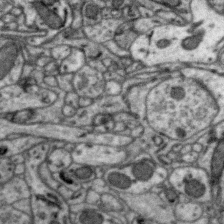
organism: Zebra finch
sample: Brain